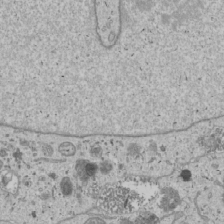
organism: Human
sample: Mitochondria in U2OS cells